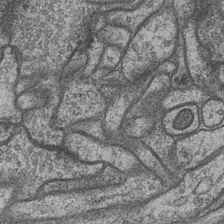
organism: Drosophila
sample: Optic medulla